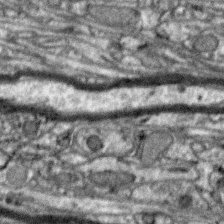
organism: Zebra finch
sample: Brain